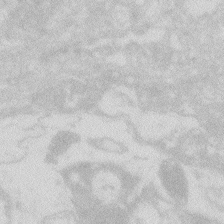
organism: Zebrafish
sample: Macrophage